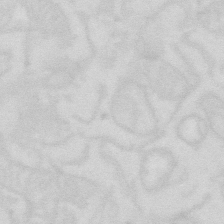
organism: Human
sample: HeLa cells